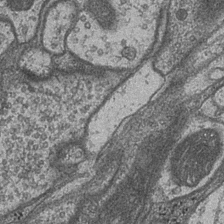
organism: Drosophila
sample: Optic medulla